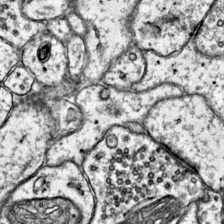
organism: Mouse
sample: Primary visual cortex